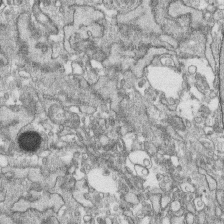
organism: Human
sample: CRL-1474